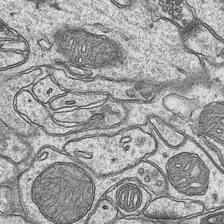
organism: Mouse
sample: CA1 Hippocampus